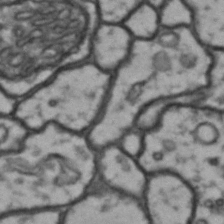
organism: Drosophila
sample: Brain